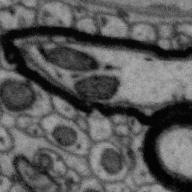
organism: Zebra finch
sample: Brain